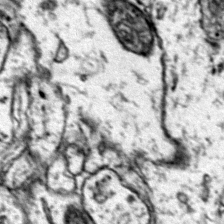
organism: Mouse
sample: Primary visual cortex